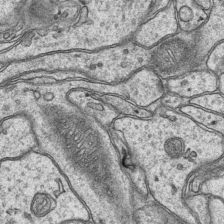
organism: Mouse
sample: CA1 Hippocampus